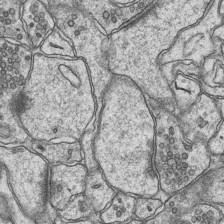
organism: Mouse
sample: CA1 Hippocampus